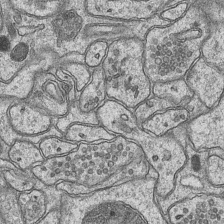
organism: Mouse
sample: CA1 Hippocampus